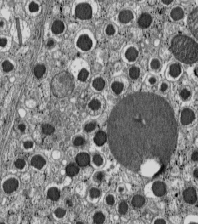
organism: C57BL Mouse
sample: Pancreatic islet